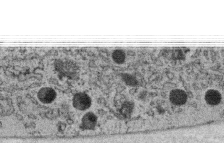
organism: C. elegans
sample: C. elegans oocyte; sperm cells